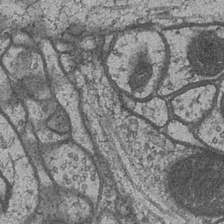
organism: Drosophila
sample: Optic medulla